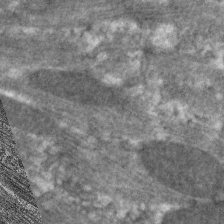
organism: C. elegans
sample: Pharynx